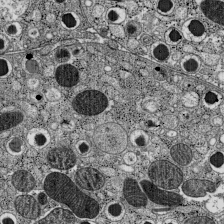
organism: C57BL Mouse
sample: Pancreatic islet